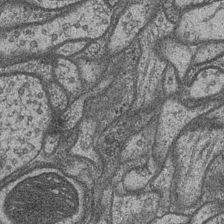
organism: Drosophila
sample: Optic medulla